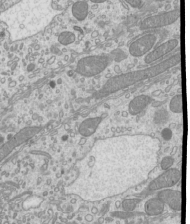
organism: Mouse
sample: Cilia; mouse epididymis